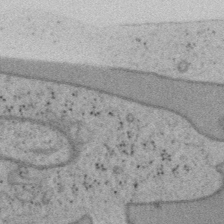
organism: Human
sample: HeLa cells